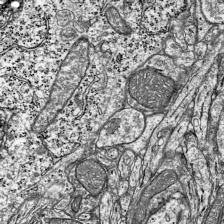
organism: Mouse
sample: Visual Cortex